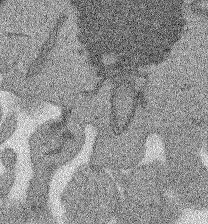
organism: Human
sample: HeLa cells